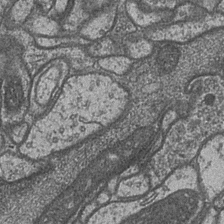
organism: Drosophila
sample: Optic medulla